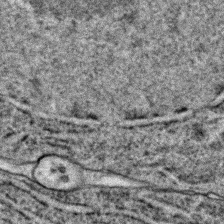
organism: C. elegans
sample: C. elegans embryo